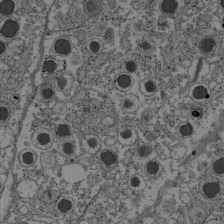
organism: C57BL Mouse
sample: Pancreatic islet